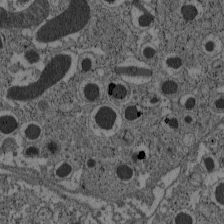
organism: C57BL Mouse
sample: Pancreatic islet